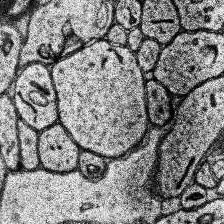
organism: Human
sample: Temporal Lobe